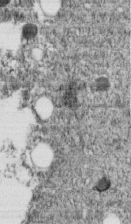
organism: C. elegans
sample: C. elegans embryo early stage